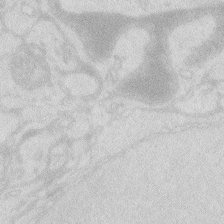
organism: Zebrafish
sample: Macrophage